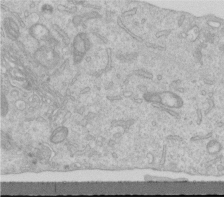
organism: Human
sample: Centriole in RPE cells